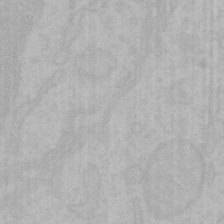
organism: Mouse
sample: Choroid plexus